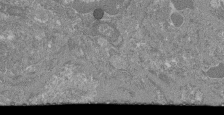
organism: Mouse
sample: Glomerulus